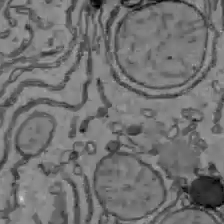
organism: C57BL Mouse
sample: Liver